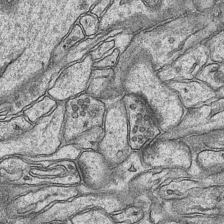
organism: Mouse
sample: CA1 Hippocampus